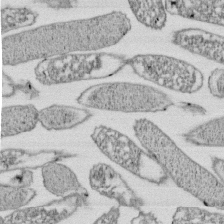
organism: E. coli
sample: Bacterial nucleoid